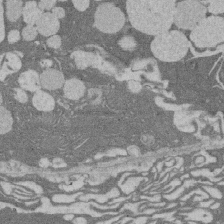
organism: Rat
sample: Salivary granule